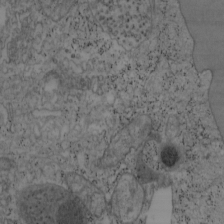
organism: Mouse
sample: OT-I killer T cells with ID8 ovarian cancer cells